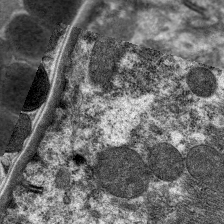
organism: C. elegans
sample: Pharynx